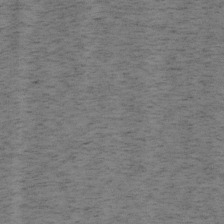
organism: Mouse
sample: OT-I killer T cells with ID8 ovarian cancer cells